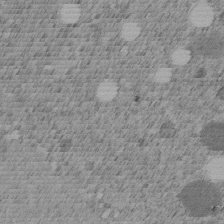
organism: C. elegans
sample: C. elegans embryo early stage